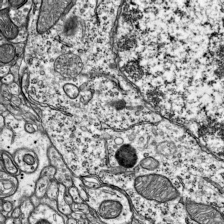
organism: Mouse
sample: Visual Cortex